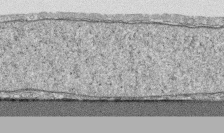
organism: Human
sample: CRL-1474